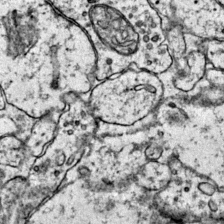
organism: Mouse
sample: Primary visual cortex